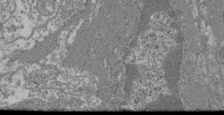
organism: Mouse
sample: Glomerulus